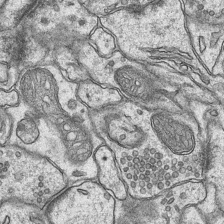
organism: Mouse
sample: CA1 Hippocampus